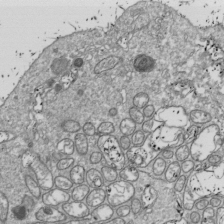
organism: Drosophila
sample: Cell division; meiosis; drosophila spermatocytes